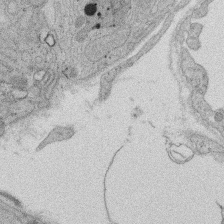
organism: Rat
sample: Salivary granule